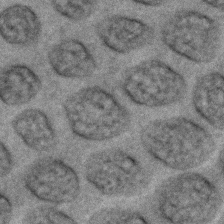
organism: C. elegans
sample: C. elegans embryo